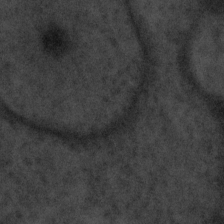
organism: Tuwongella immobilis